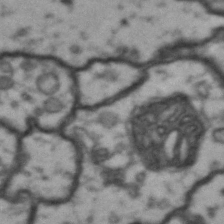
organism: Drosophila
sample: Brain